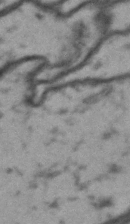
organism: Drosophila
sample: Brain